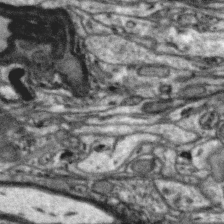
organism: Zebra finch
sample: Brain